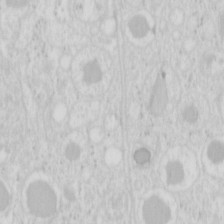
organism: Mouse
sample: Pancreas